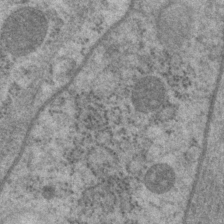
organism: P. pacificus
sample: Pharynx